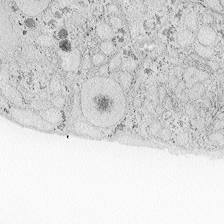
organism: Zebrafish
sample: Whole-Brain